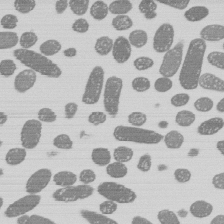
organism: E. coli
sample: Bacterial nucleoid